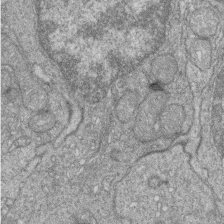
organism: Zebrafish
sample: Cilia; retinal pigment epithelium